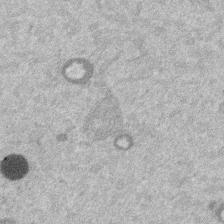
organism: Mouse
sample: Dividing mouse embryo 1 cell stage